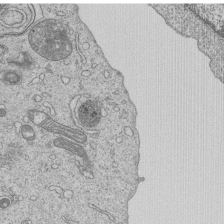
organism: Human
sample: MDA-MB-231 cells